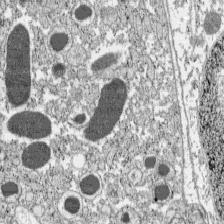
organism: C57BL Mouse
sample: Pancreatic islet